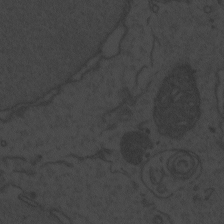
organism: Zebrafish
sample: Macrophage infected with Toxoplasma gondii